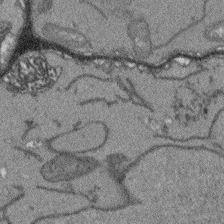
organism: Arabidopsis thaliana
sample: Root tip